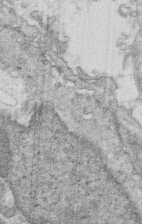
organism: Mouse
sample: Multiciliated cells